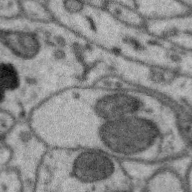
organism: Zebra finch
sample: Brain